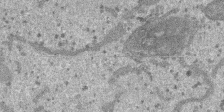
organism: Human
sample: Lung epithelial cells infected with SARS-CoV-2